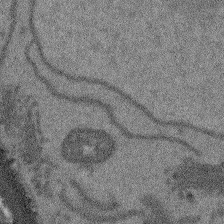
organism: Arabidopsis thaliana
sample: Root tip